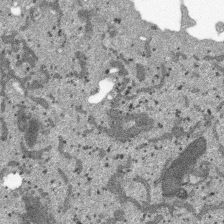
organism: Human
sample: Lung epithelial cells infected with SARS-CoV-2